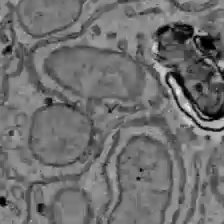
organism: C57BL Mouse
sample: Liver